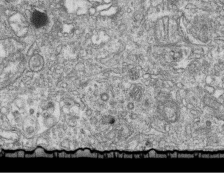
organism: Human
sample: HeLa cell HIV synapse